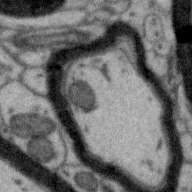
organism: Zebra finch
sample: Brain